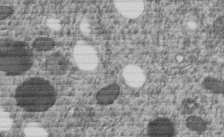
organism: C. elegans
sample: C. elegans embryo early stage